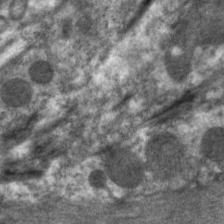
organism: C. elegans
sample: Pharynx